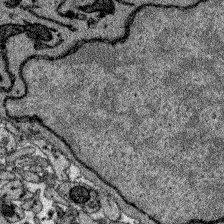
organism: Zebrafish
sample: Larval olfactory bulb